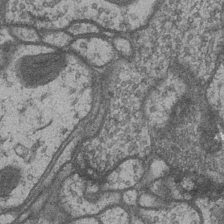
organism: Drosophila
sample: Optic medulla